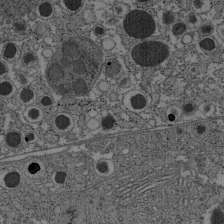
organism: C57BL Mouse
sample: Pancreatic islet